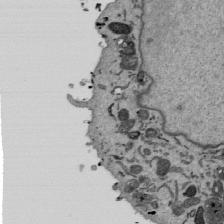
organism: Mouse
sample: ED-1 cell nuclei; centrioles